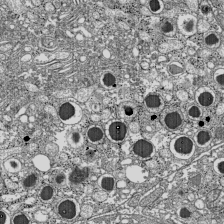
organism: C57BL Mouse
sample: Pancreatic islet